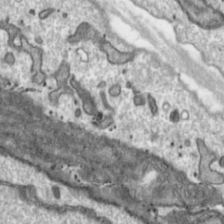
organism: Toxoplasma gondii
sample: Parasites in a vacuole inside a host cell